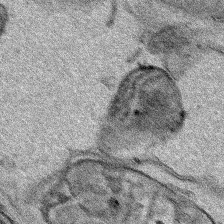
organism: Human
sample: Mitochondria in HCT116 cells